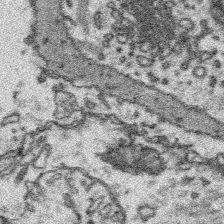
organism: Platynereis dumerilii